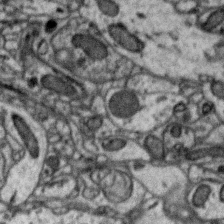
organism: Zebra finch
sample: Brain